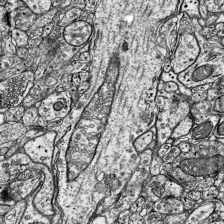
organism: Mouse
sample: Visual Cortex